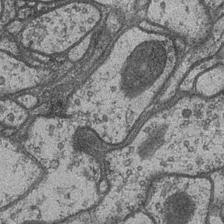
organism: Drosophila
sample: Optic medulla